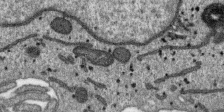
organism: Human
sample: Lung epithelial cells, uninfected (mock) control